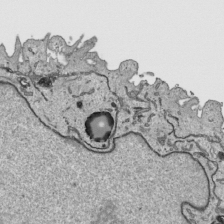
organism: Human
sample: Mitochondria in HCT116 cells